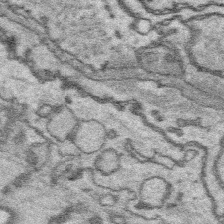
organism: Platynereis dumerilii